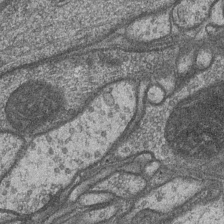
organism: Drosophila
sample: Optic medulla